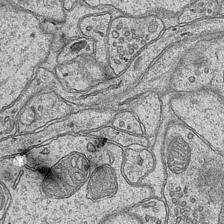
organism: Mouse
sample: CA1 Hippocampus